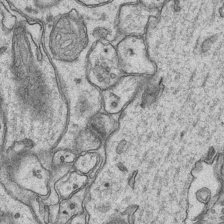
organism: Mouse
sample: CA1 Hippocampus